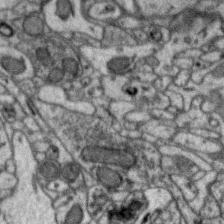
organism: Zebra finch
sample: Brain